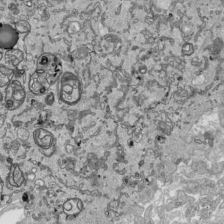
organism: Human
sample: Mitochondria in HCT116 cells